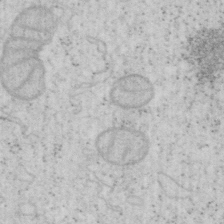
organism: Human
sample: HeLa cells